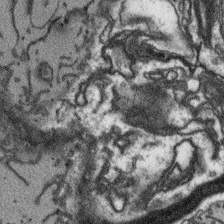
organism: Arabidopsis thaliana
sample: Root tip